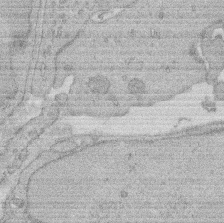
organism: Rat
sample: Salivary granule